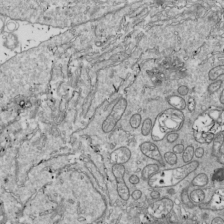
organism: Drosophila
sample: Cell division; meiosis; drosophila spermatocytes